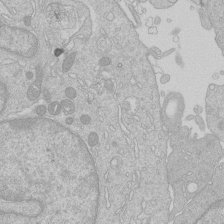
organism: Human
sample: Macrophage cells